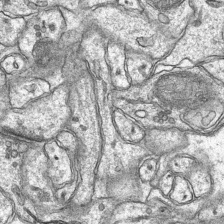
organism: Mouse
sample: CA1 Hippocampus